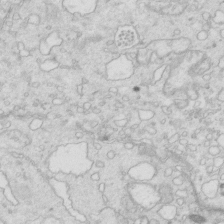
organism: Mouse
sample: Multiciliated cells